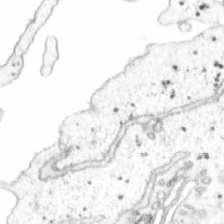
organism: Human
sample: HeLa cells